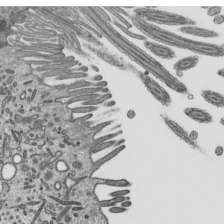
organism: Mouse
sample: Mouse epididymis efferent ductule cilia